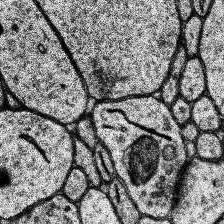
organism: Human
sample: Temporal Lobe